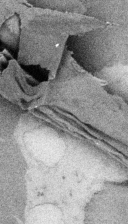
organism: Embia sp.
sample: Silk gland